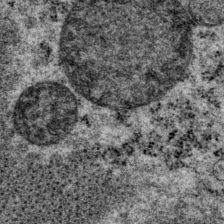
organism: P. pacificus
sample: Pharynx